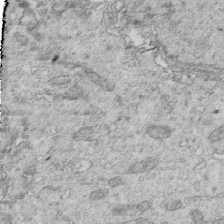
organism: Mouse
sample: Multiciliated cells